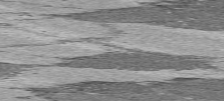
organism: C57BL Mouse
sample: Heart